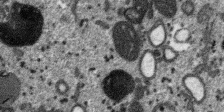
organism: Human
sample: Lung epithelial cells infected with SARS-CoV-2